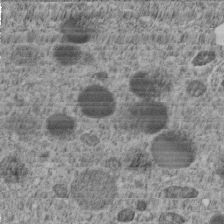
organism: C. elegans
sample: C. elegans embryo early stage